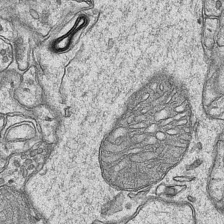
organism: Mouse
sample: CA1 Hippocampus